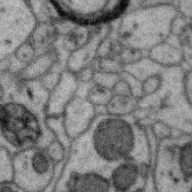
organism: Zebra finch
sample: Brain